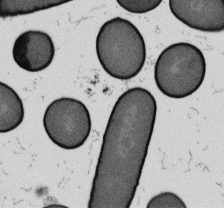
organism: B. subtilis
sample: Bacterial spore